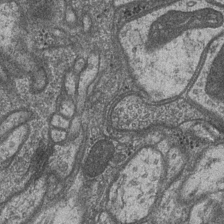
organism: Drosophila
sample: Optic medulla